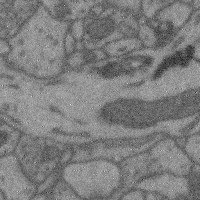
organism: Mouse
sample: Cerebral cortex